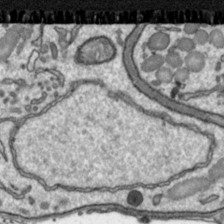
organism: Toxoplasma gondii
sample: Parasites in a vacuole inside a host cell